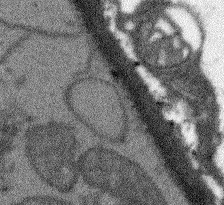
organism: Arabidopsis thaliana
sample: Root tip